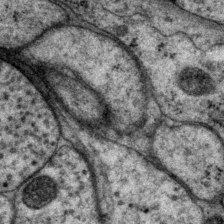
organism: P. pacificus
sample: Pharynx